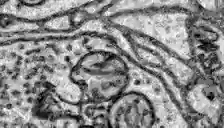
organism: Zebrafish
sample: Brain